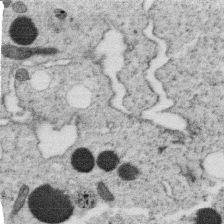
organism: C. elegans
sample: C. elegans oocyte; sperm cells